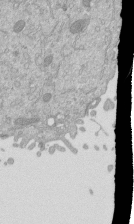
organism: Mouse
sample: ED-1 cell nuclei; centrioles